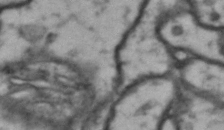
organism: Drosophila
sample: Brain